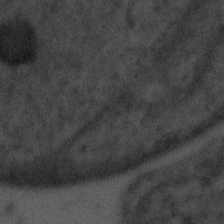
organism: Tuwongella immobilis